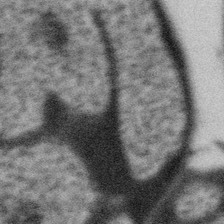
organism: Gemmata obscuriglobus